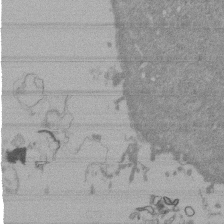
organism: Mouse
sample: ED-1 cell nuclei; centrioles